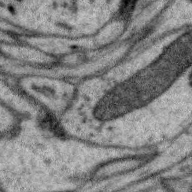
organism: Zebra finch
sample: Brain